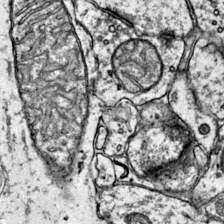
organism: Mouse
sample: Primary visual cortex